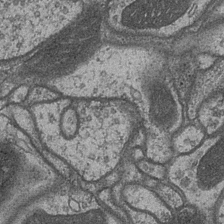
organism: Drosophila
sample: Optic medulla